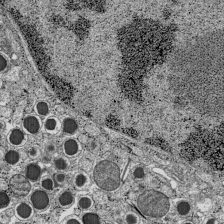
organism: C57BL Mouse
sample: Pancreatic islet